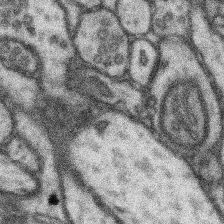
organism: Mouse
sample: Somatosensory cortex neuropil